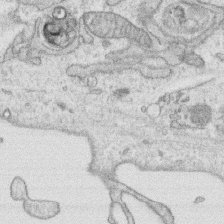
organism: Human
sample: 1205lu cells